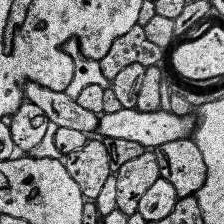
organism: Human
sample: Temporal Lobe